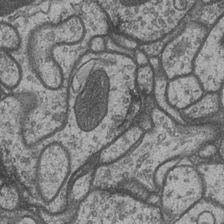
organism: Drosophila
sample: Optic medulla